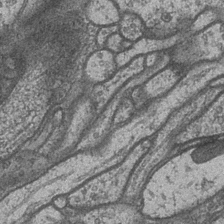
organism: Drosophila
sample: Optic medulla